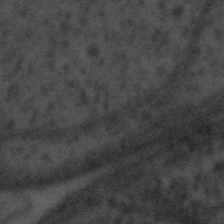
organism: Tuwongella immobilis